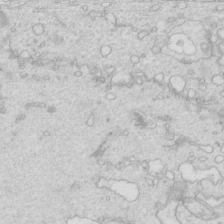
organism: Mouse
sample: Multiciliated cells